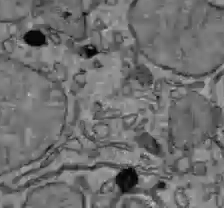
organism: C57BL Mouse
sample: Liver